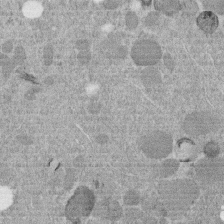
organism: C. elegans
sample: C. elegans embryo early stage